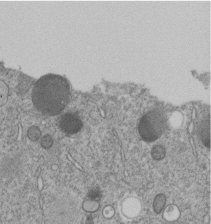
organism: C. elegans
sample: C. elegans embryo early stage